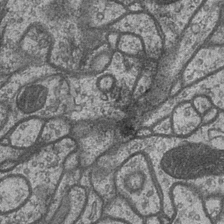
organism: Drosophila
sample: Optic medulla